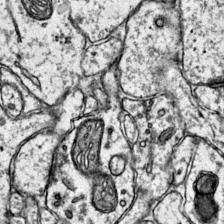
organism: Mouse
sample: Primary visual cortex